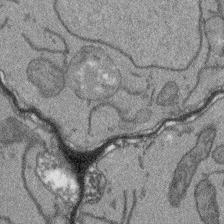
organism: Arabidopsis thaliana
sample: Root tip